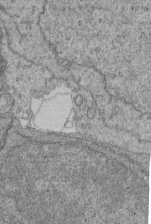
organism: Human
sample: Retinal organoid Rod and Cone cells